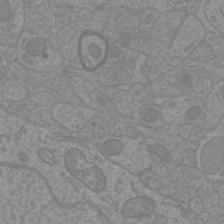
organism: Mouse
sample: Cortical neurons